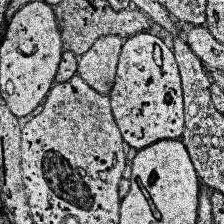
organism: Human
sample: Temporal Lobe